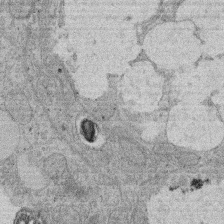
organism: Rat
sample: Salivary granule